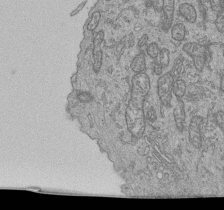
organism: Human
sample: Retinal organoid Rod and Cone cells